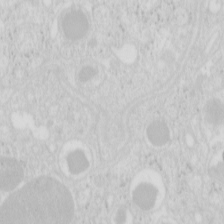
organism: Mouse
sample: Pancreas